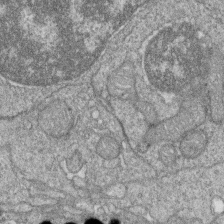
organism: Zebrafish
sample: Cilia; retinal pigment epithelium